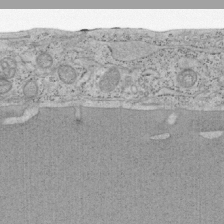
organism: Human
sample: HeLa cells